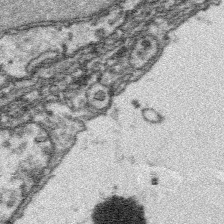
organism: Platynereis dumerilii